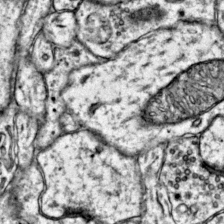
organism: Mouse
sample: Primary visual cortex